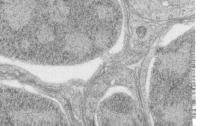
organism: Zebrafish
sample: synaptic ribbons in rod cells and cone cells